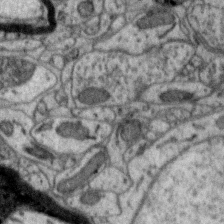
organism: Zebra finch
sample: Brain